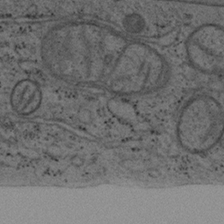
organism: Human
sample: HeLa cells